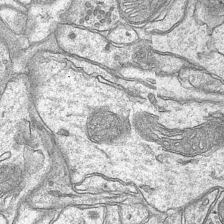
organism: Mouse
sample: CA1 Hippocampus